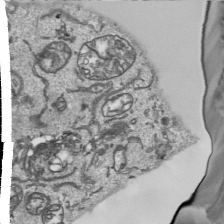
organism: Human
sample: Mitochondria in HCT116 cells